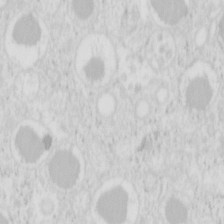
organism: Mouse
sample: Pancreas